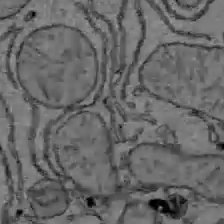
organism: C57BL Mouse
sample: Liver